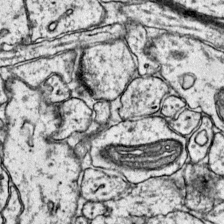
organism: Mouse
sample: Primary visual cortex